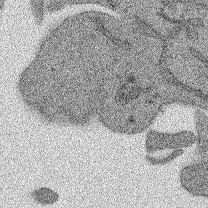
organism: Human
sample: HeLa cells